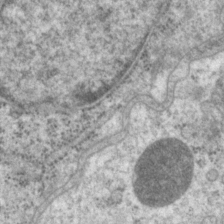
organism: P. pacificus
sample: Pharynx